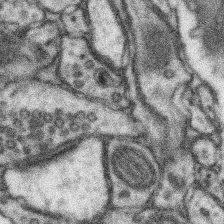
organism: Mouse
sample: Somatosensory cortex neuropil